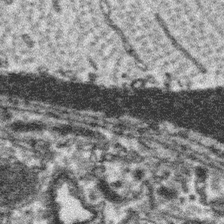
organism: Platynereis dumerilii